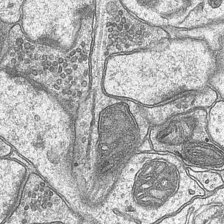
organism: Mouse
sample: CA1 Hippocampus